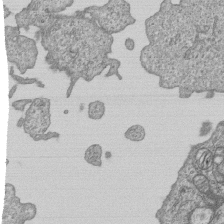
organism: Human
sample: MDA-MB-231 cells